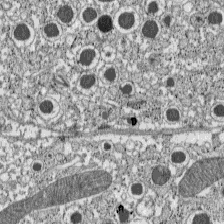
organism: C57BL Mouse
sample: Pancreatic islet